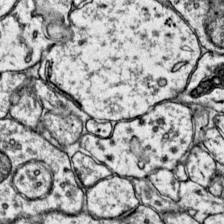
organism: Mouse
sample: Primary visual cortex